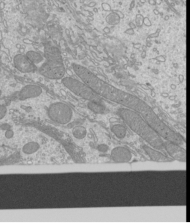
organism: Mouse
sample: Cilia; mouse epididymis